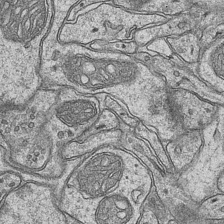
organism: Mouse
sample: CA1 Hippocampus